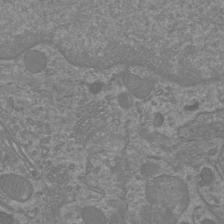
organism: Mouse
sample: Cortical neurons